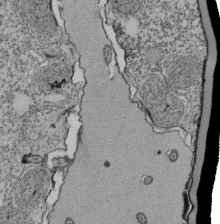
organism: Tetrahymena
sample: Cilia in tetrahymena